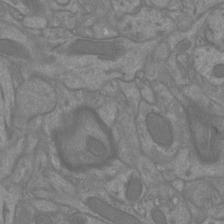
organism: Mouse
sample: Cortical neurons